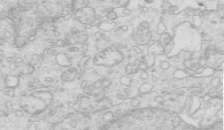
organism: Mouse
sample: Multiciliated cells